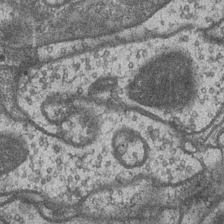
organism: Drosophila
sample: Optic medulla